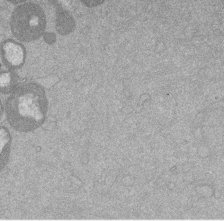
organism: Mouse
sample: Dividing mouse embryo 1 cell stage